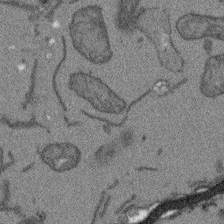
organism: Arabidopsis thaliana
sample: Root tip